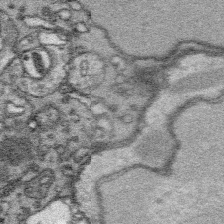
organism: Platynereis dumerilii